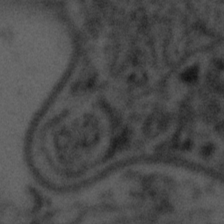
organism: Tuwongella immobilis